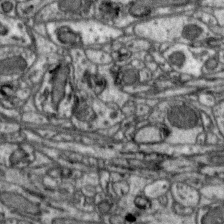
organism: Zebra finch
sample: Brain